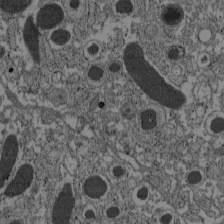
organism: C57BL Mouse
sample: Pancreatic islet